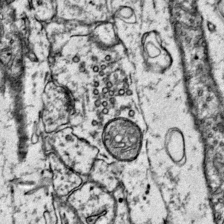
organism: Mouse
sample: Primary visual cortex